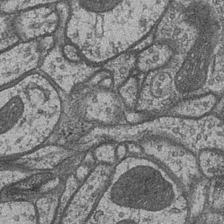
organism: Drosophila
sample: Optic medulla